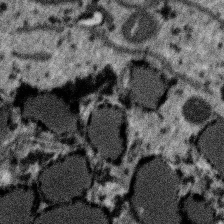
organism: Human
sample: Lung epithelial cells infected with SARS-CoV-2